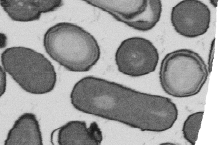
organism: B. subtilis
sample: Bacterial spore